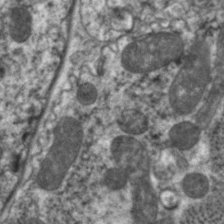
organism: C. elegans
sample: Pharynx